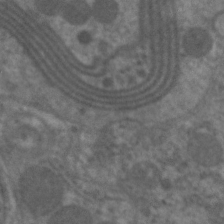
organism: C. elegans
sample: Pharynx